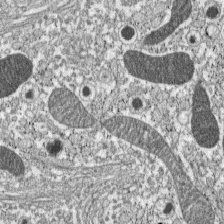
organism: C57BL Mouse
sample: Pancreatic islet